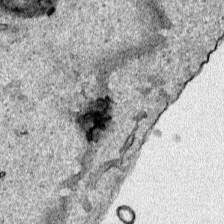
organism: Human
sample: Mitochondria in HCT116 cells